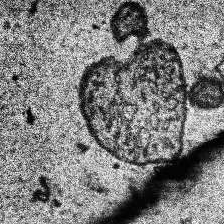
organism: Human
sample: Temporal Lobe